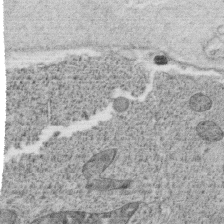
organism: C. elegans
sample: C. elegans oocyte; sperm cells